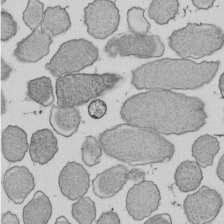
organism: E. coli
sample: Bacterial nucleoid